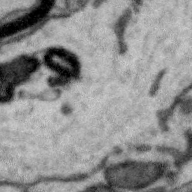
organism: Zebra finch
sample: Brain